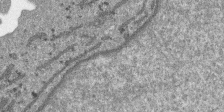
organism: Human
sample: Lung epithelial cells infected with SARS-CoV-2